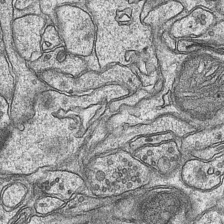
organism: Mouse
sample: CA1 Hippocampus